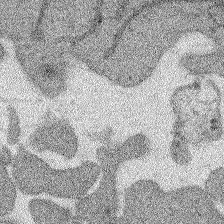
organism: Human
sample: HeLa cells